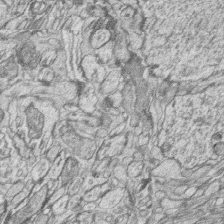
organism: Zebrafish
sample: synaptic ribbons in rod cells and cone cells